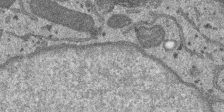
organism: Human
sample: Lung epithelial cells infected with SARS-CoV-2